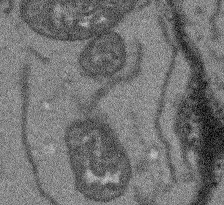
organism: Arabidopsis thaliana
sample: Root tip